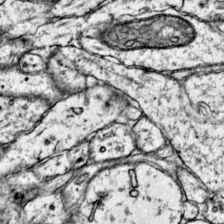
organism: Mouse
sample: Primary visual cortex